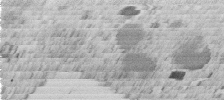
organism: C. elegans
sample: C. elegans embryo early stage